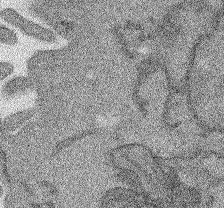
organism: Human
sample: HeLa cells